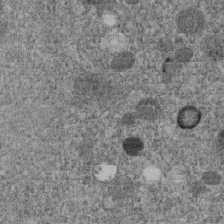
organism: C. elegans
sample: C. elegans embryo early stage